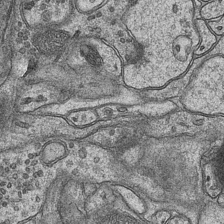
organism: Mouse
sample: CA1 Hippocampus